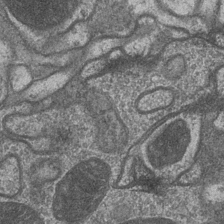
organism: Drosophila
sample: Optic medulla